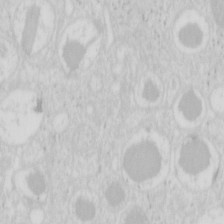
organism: Mouse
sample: Pancreas